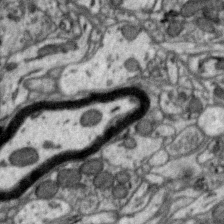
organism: Zebra finch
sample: Brain